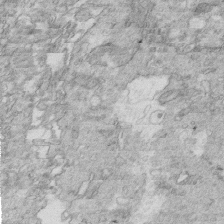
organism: Mouse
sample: Multiciliated cells